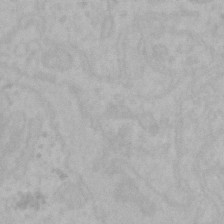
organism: Mouse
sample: Choroid plexus